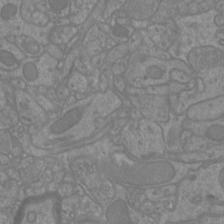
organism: Mouse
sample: Cortical neurons